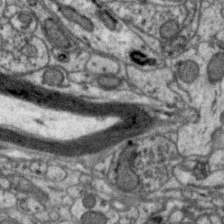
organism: Zebra finch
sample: Brain